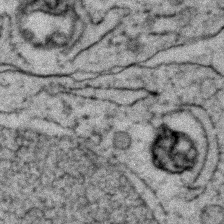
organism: Zebrafish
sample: Zebrafish embryo